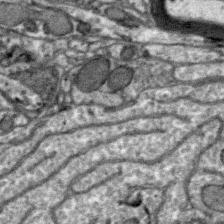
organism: Zebra finch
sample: Brain